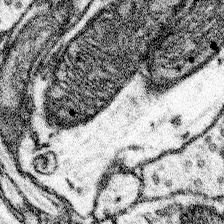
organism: Mouse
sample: Somatosensory cortex neuropil